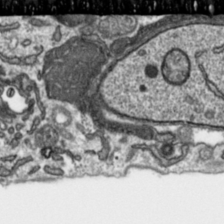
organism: Toxoplasma gondii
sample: Parasites in a vacuole inside a host cell